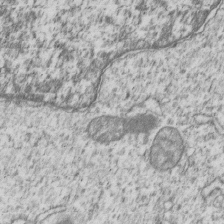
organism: Human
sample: MDA-MB-231 cells